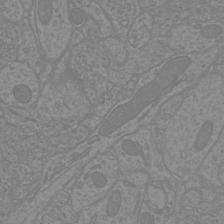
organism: Mouse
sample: Cortical neurons